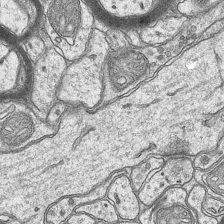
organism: Mouse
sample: CA1 Hippocampus